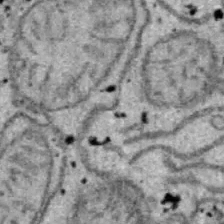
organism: Mouse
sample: Liver from an obese (ob/ob) mouse